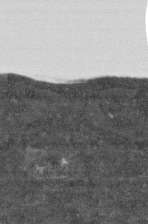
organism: Human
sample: Fibroblast cells